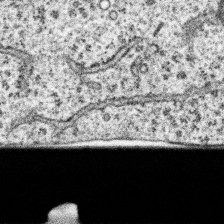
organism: Human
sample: HeLa cells